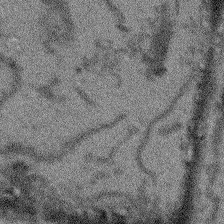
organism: Arabidopsis thaliana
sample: Root tip